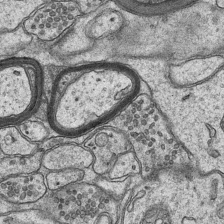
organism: Mouse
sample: CA1 Hippocampus